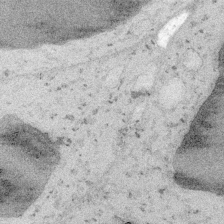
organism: Embia sp.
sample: Silk gland